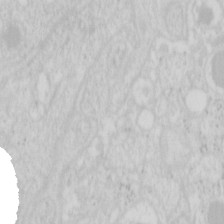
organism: Mouse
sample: Pancreas